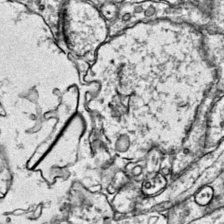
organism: Mouse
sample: Primary visual cortex